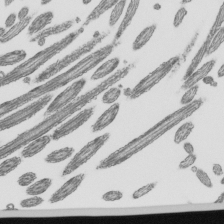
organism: Mouse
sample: Mouse epididymis efferent ductule cilia